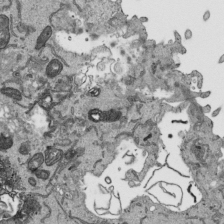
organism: Human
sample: Mitochondria in HCT116 cells